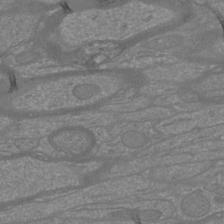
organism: Mouse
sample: Cortical neurons